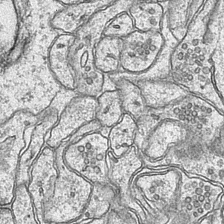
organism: Mouse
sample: CA1 Hippocampus